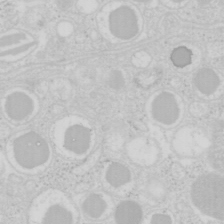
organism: Mouse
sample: Pancreas